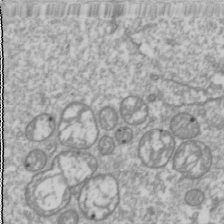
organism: Drosophila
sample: Cell division; meiosis; drosophila spermatocytes